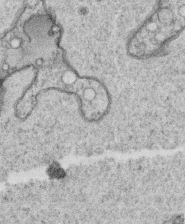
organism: C. elegans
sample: C. elegans oocyte; sperm cells